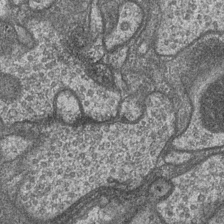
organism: Drosophila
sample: Optic medulla